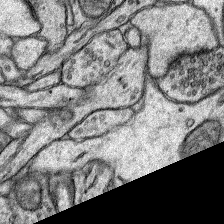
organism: Rat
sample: Hippocampus